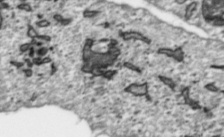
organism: Toxoplasma gondii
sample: Parasites in a vacuole inside a host cell